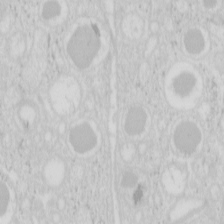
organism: Mouse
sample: Pancreas